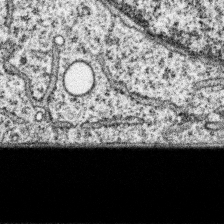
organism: Human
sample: HeLa cells